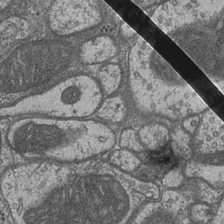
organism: Drosophila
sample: Optic medulla